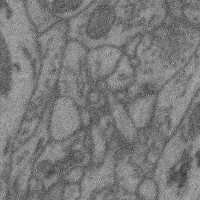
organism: Mouse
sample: Cerebral cortex